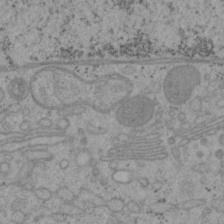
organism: Human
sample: HeLa cells